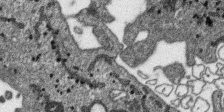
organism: Human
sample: Lung epithelial cells infected with SARS-CoV-2